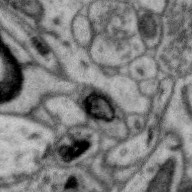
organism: Zebra finch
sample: Brain